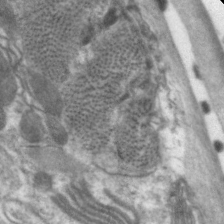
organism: C. elegans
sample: Pharynx